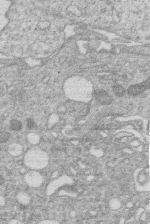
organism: Human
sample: Macrophage cells